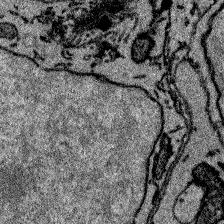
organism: Zebrafish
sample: Larval olfactory bulb